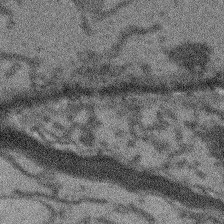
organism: Arabidopsis thaliana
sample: Root tip